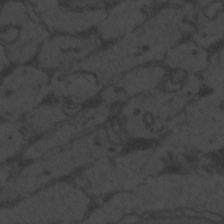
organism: Zebrafish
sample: Macrophage infected with Toxoplasma gondii